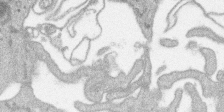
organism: Human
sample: Lung epithelial cells infected with SARS-CoV-2